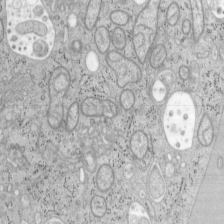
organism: Mouse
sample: OT-I killer T cells with ID8 ovarian cancer cells